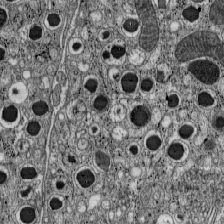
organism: C57BL Mouse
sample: Pancreatic islet